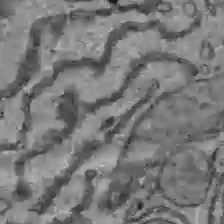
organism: C57BL Mouse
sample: Liver